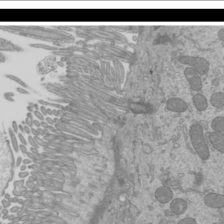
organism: Mouse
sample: Cilia; mouse epididymis